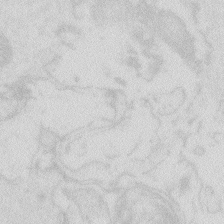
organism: Zebrafish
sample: Macrophage